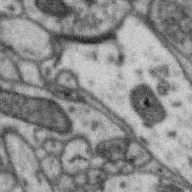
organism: Zebra finch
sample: Brain